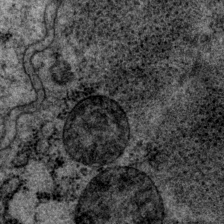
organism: P. pacificus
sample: Pharynx